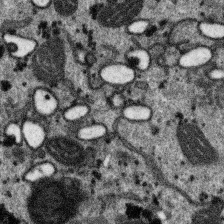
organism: Human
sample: Lung epithelial cells infected with SARS-CoV-2